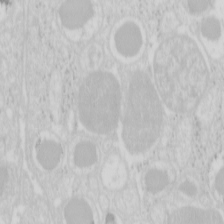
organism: Mouse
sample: Pancreas